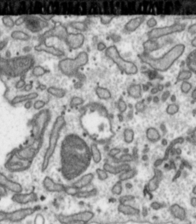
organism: Toxoplasma gondii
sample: Parasites in a vacuole inside a host cell